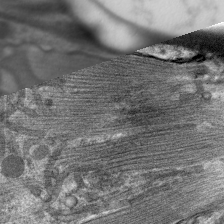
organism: C. elegans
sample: Pharynx